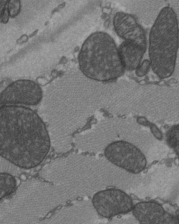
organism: C57BL Mouse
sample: Heart